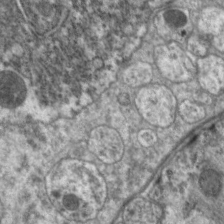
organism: C. elegans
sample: Pharynx